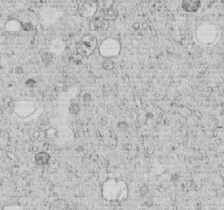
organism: C. elegans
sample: C. elegans embryo early stage